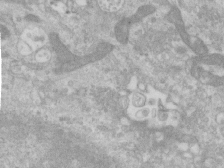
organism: Human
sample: Centriole in RPE cells